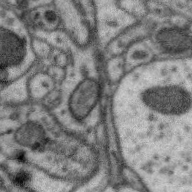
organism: Zebra finch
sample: Brain